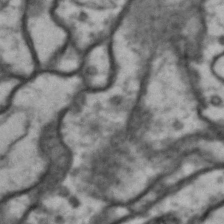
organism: Drosophila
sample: Brain